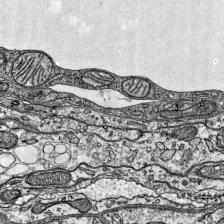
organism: Mouse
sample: Visual Cortex